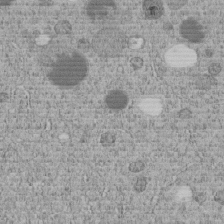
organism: C. elegans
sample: C. elegans embryo early stage